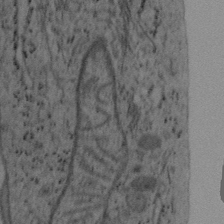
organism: Human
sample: HeLa cells